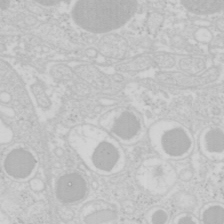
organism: Mouse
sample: Pancreas